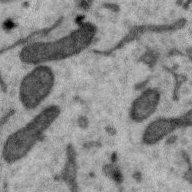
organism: Zebra finch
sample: Brain